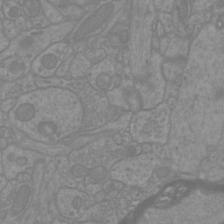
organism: Mouse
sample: Cortical neurons